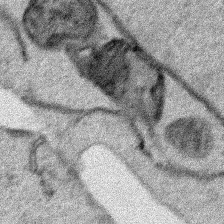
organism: Human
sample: Mitochondria in HCT116 cells